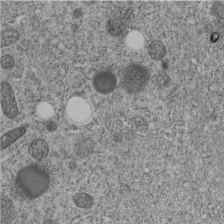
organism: C. elegans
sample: C. elegans embryo early stage